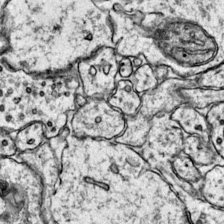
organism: Mouse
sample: Primary visual cortex